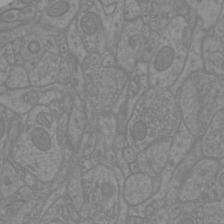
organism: Mouse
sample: Cortical neurons